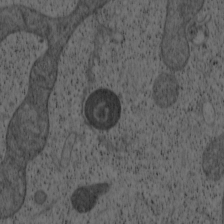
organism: African green monkey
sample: COS-7 cells